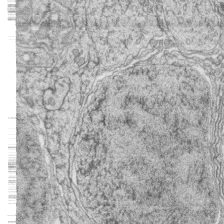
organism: Zebrafish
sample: synaptic ribbons in rod cells and cone cells